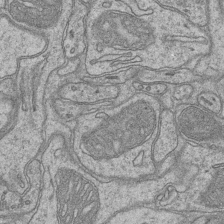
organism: Mouse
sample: CA1 Hippocampus